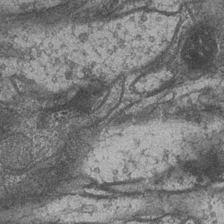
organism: Drosophila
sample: Optic medulla